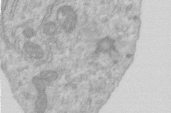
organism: Human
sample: Centriole in RPE cells